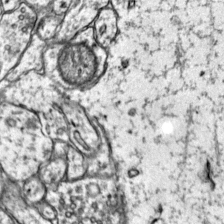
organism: Mouse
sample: Primary visual cortex